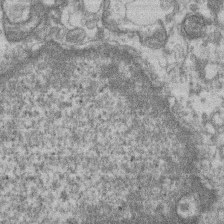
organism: Mouse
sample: T cell stromal cell synapse